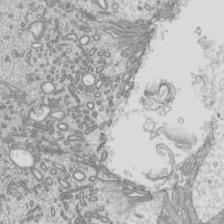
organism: Mouse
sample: Cilia; mouse epididymis